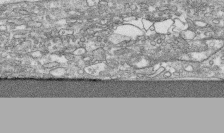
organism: Human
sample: CRL-1474